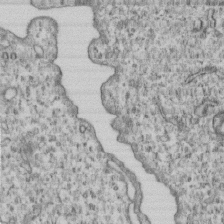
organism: Human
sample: MDA-MB-231 cells